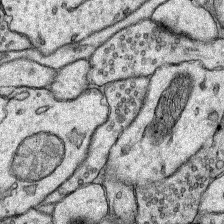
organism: Rat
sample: Hippocampus